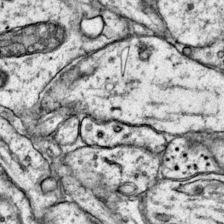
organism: Mouse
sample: Primary visual cortex